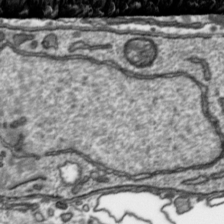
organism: Toxoplasma gondii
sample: Parasites in a vacuole inside a host cell